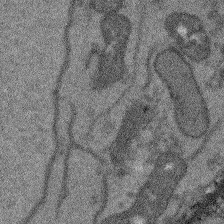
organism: Arabidopsis thaliana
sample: Root tip